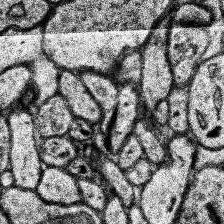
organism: Human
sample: Temporal Lobe